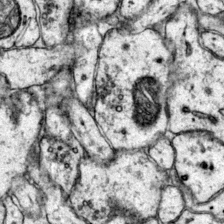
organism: Mouse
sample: Primary visual cortex